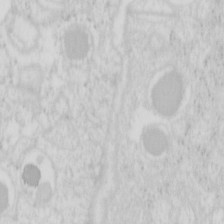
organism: Mouse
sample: Pancreas